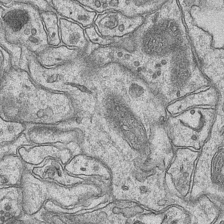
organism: Mouse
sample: CA1 Hippocampus